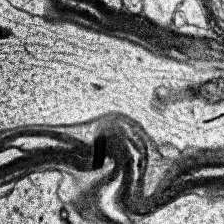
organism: Human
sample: Temporal Lobe